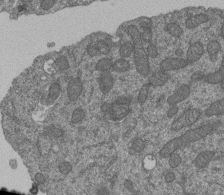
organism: Human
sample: Retinal organoid Rod and Cone cells